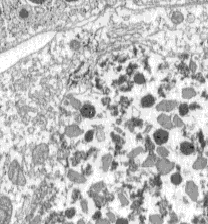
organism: C57BL Mouse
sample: Pancreatic islet